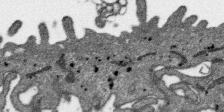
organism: Human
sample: Lung epithelial cells, uninfected (mock) control